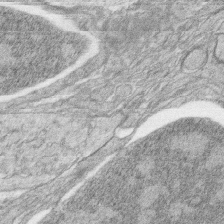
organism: Zebrafish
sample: synaptic ribbons in rod cells and cone cells